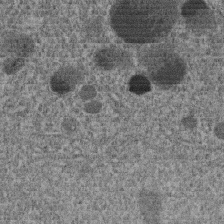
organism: C. elegans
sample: C. elegans embryo early stage